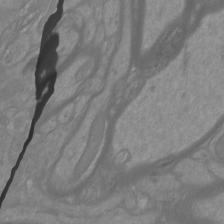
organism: Mouse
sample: Cortical neurons